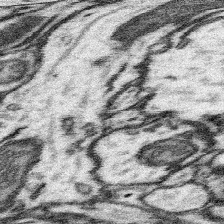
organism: Mouse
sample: Somatosensory cortex neuropil